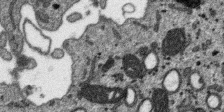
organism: Human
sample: Lung epithelial cells infected with SARS-CoV-2